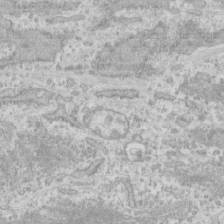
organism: Human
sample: CRL-1474